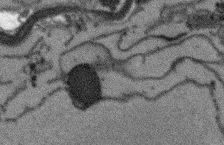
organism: Arabidopsis thaliana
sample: Root tip